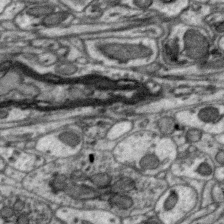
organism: Zebra finch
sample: Brain